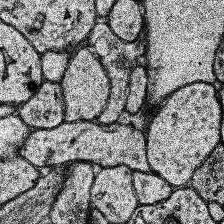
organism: Human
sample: Temporal Lobe